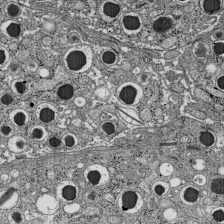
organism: C57BL Mouse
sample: Pancreatic islet